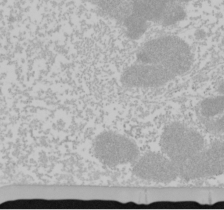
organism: Mouse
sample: Cancer cell death in ED-1 cells